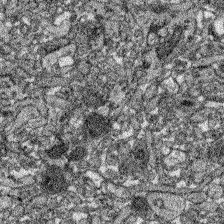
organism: Zebrafish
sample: Larval olfactory bulb